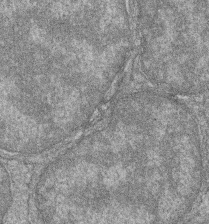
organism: Zebrafish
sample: Cilia; retinal pigment epithelium